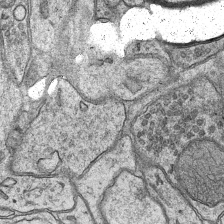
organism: Mouse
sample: CA1 Hippocampus